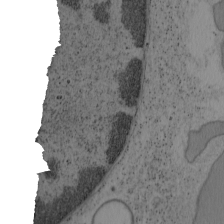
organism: Mouse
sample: OT-I killer T cells with ID8 ovarian cancer cells